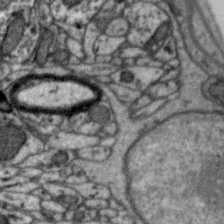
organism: Zebra finch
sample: Brain